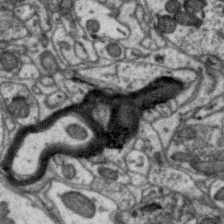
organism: Zebra finch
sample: Brain